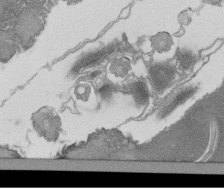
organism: Tetrahymena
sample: Cilia in tetrahymena